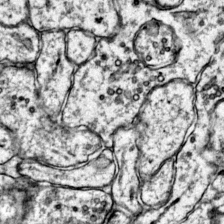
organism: Mouse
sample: Primary visual cortex